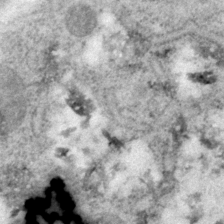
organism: P. pacificus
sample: Pharynx